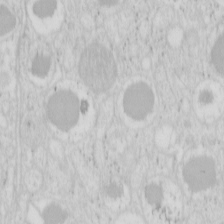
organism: Mouse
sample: Pancreas